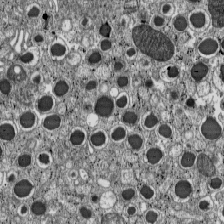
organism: C57BL Mouse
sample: Pancreatic islet